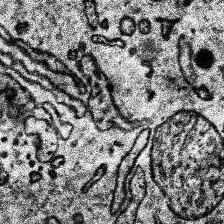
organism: Human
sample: Temporal Lobe